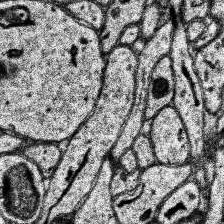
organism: Human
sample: Temporal Lobe